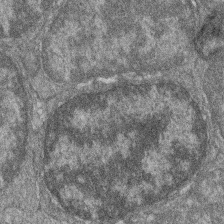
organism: Zebrafish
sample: Cilia; retinal pigment epithelium